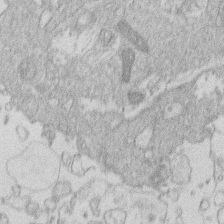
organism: Human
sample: Macrophage cells